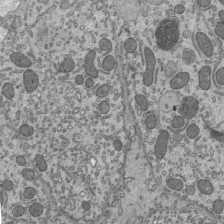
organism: Mouse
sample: Mouse epididymis efferent ductule cilia